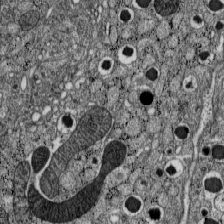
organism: C57BL Mouse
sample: Pancreatic islet